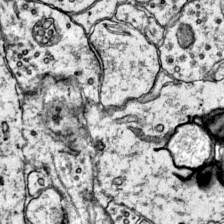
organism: Mouse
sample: Primary visual cortex